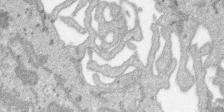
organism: Human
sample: Lung epithelial cells infected with SARS-CoV-2